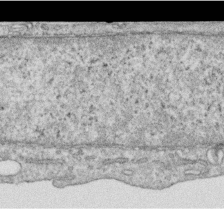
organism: Human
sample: Centriole in RPE cells